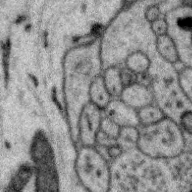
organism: Zebra finch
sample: Brain